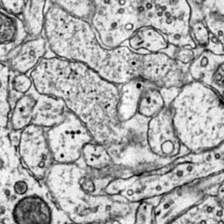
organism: Mouse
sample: Primary visual cortex